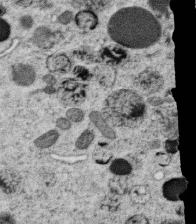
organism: C. elegans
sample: C. elegans oocyte; sperm cells